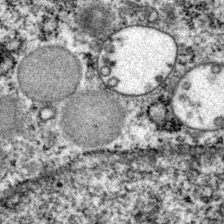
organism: P. pacificus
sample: Pharynx